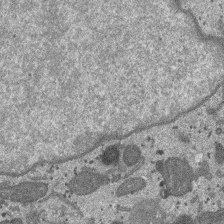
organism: Human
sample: Lung epithelial cells infected with SARS-CoV-2